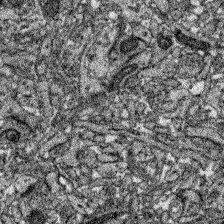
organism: Zebrafish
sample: Larval olfactory bulb